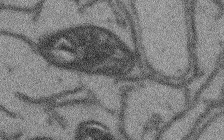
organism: Arabidopsis thaliana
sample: Root tip